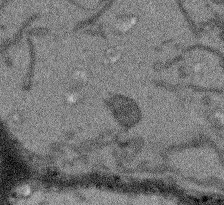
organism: Arabidopsis thaliana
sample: Root tip